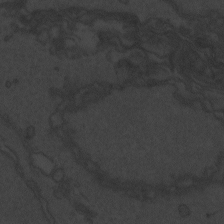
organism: Zebrafish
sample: Macrophage infected with Toxoplasma gondii